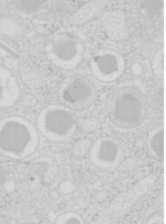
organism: Mouse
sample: Pancreas